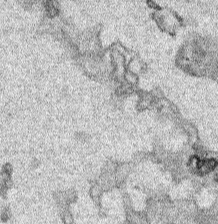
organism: Human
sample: Mitochondria in HCT116 cells